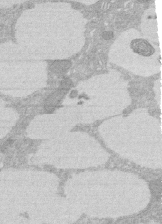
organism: Rat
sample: Salivary granule